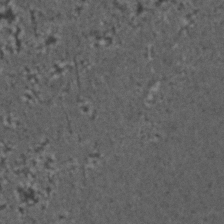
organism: C. elegans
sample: C. elegans embryo